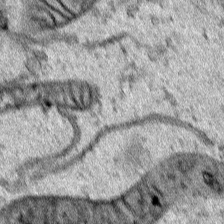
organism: Human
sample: Mitochondria in HCT116 cells